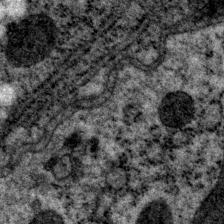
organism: P. pacificus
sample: Pharynx